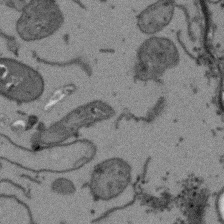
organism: Arabidopsis thaliana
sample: Root tip